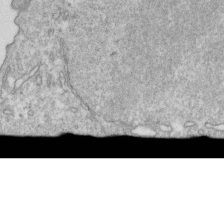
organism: Mouse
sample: Activated OT-1 CD8+ T cells